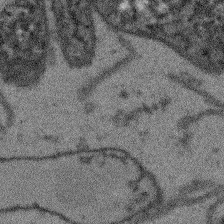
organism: Arabidopsis thaliana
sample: Root tip